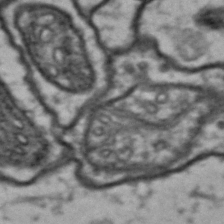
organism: Drosophila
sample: Brain